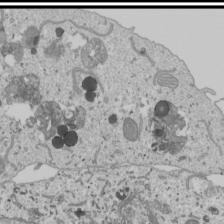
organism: Human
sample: Mitochondria in U2OS cells